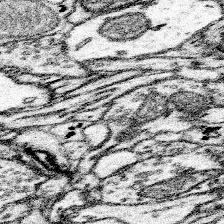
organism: Mouse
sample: Somatosensory cortex neuropil